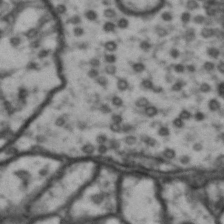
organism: Drosophila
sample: Brain